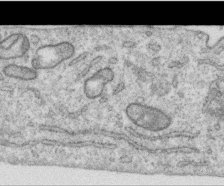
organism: Human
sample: Centriole in RPE cells